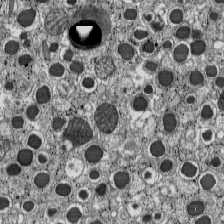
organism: C57BL Mouse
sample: Pancreatic islet